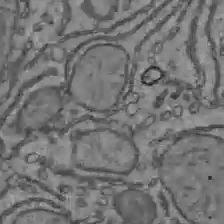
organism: C57BL Mouse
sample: Liver